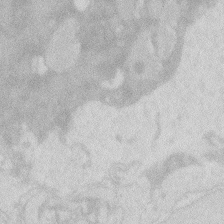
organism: Zebrafish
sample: Macrophage